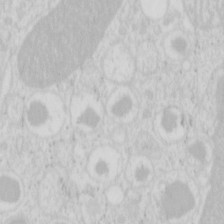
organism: Mouse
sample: Pancreas